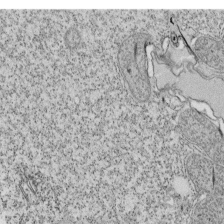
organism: Tetrahymena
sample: Cilia in tetrahymena